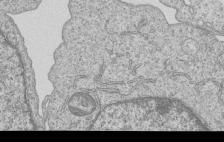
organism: Human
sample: MDA-MB-231 cells